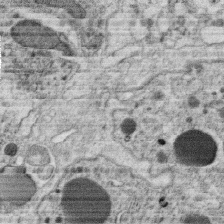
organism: C. elegans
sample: C. elegans oocyte; sperm cells